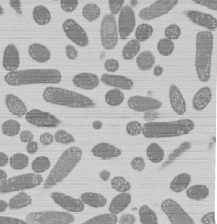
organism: E. coli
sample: Bacterial nucleoid